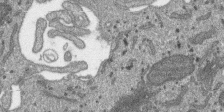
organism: Human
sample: Lung epithelial cells infected with SARS-CoV-2